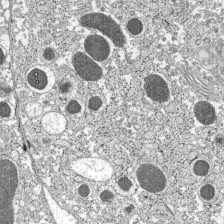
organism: C57BL Mouse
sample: Pancreatic islet